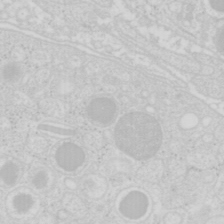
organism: Mouse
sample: Pancreas